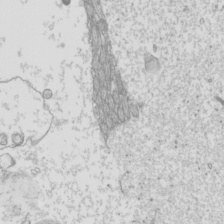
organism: Mouse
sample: Cilia; mouse epididymis